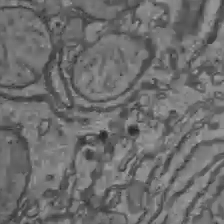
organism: C57BL Mouse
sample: Liver